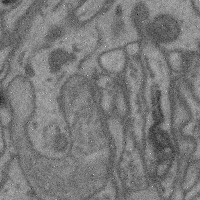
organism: Mouse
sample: Cerebral cortex